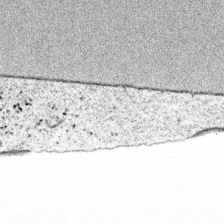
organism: Human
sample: HeLa cells